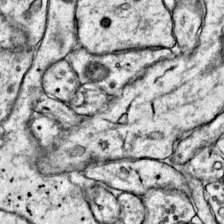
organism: Mouse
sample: Primary visual cortex